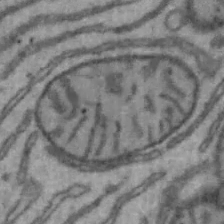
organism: Mouse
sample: Liver